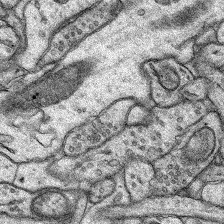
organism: Rat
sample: Hippocampus